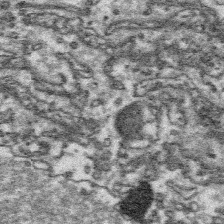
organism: Platynereis dumerilii